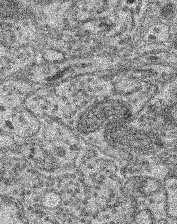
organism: Mouse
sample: Retina